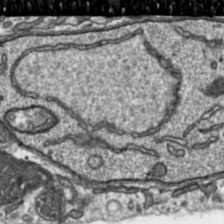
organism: Toxoplasma gondii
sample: Parasites in a vacuole inside a host cell